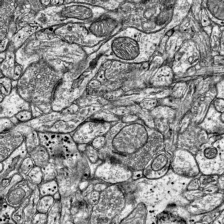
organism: Mouse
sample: Visual Cortex